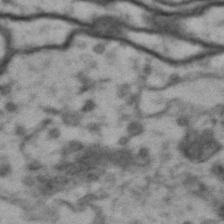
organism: Drosophila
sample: Brain